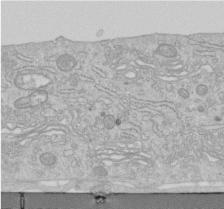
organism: Human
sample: Centriole in RPE cells